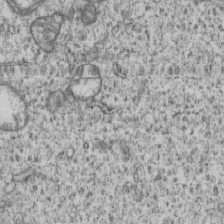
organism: Human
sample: MDA-MB-231 cells